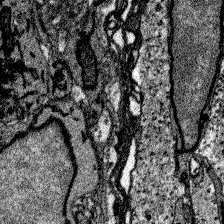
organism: Zebrafish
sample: Larval olfactory bulb